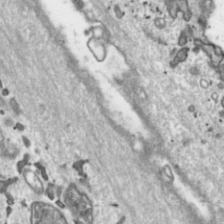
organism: Toxoplasma gondii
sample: Parasites in a vacuole inside a host cell